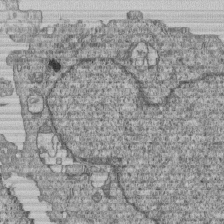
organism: Human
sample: MDA-MB-231 cells